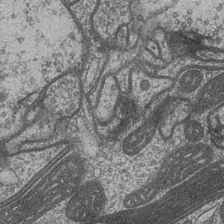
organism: Drosophila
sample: Optic medulla